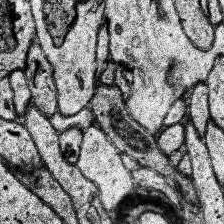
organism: Human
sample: Temporal Lobe